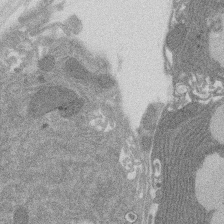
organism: Rat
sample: Salivary granule